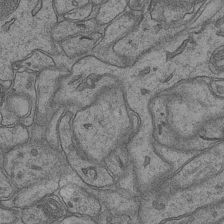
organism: Mouse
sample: CA1 Hippocampus